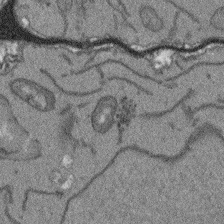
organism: Arabidopsis thaliana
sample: Root tip